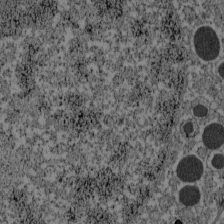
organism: C57BL Mouse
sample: Pancreatic islet